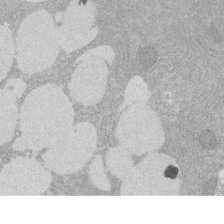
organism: Rat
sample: Salivary granule